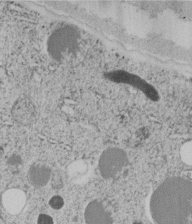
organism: C. elegans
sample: C. elegans embryo early stage